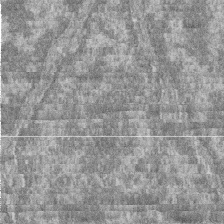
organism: Zebrafish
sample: Cilia; retinal pigment epithelium